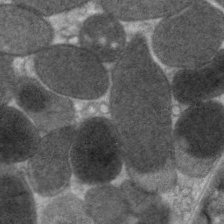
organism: C. elegans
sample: Pharynx